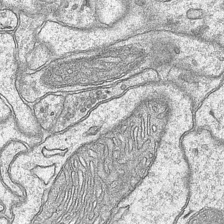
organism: Mouse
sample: CA1 Hippocampus